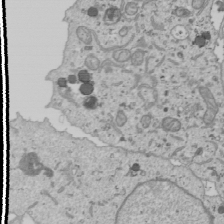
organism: Human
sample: Mitochondria in U2OS cells